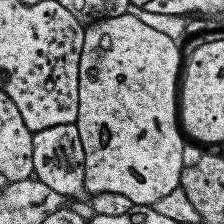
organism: Human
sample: Temporal Lobe